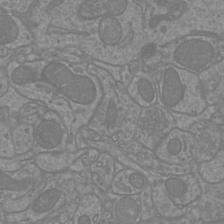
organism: Mouse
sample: Cortical neurons